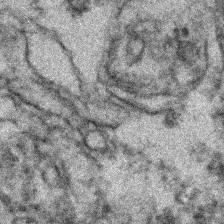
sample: Kidney